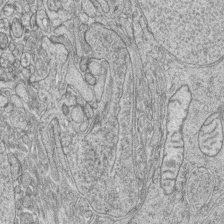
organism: Zebrafish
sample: synaptic ribbons in rod cells and cone cells